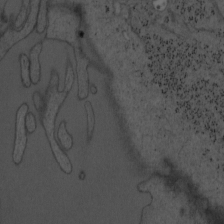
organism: Mouse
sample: OT-I killer T cells with ID8 ovarian cancer cells